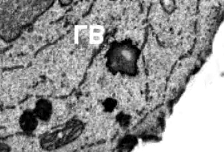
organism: Human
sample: HeLa cells